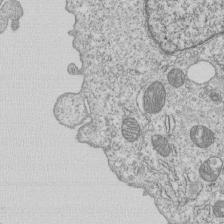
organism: Human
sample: MDA-MB-231 cells